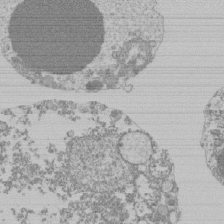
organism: Mouse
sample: Activated Pmel transgenic CD8+ T Cells